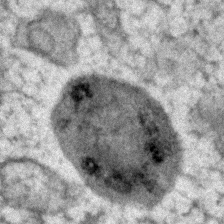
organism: Human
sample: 1205lu cells